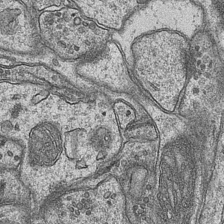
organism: Mouse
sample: CA1 Hippocampus